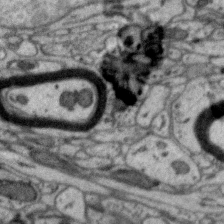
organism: Zebra finch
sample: Brain